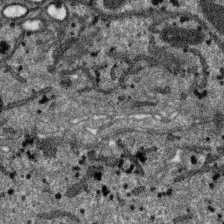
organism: Human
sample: Lung epithelial cells infected with SARS-CoV-2